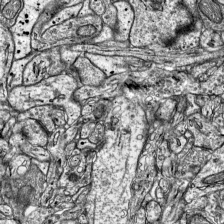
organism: Mouse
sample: Visual Cortex